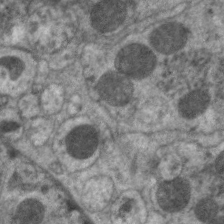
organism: C. elegans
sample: Pharynx